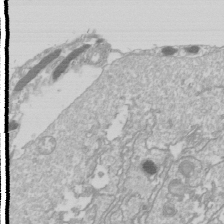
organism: Drosophila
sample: Cell division; meiosis; drosophila spermatocytes